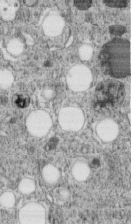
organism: C. elegans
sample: C. elegans embryo early stage